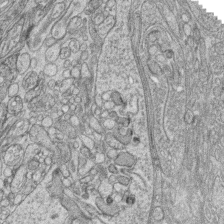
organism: Zebrafish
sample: synaptic ribbons in rod cells and cone cells